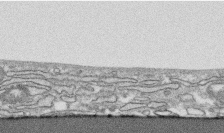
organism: Human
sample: CRL-1474